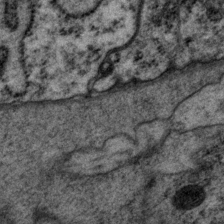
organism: P. pacificus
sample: Pharynx